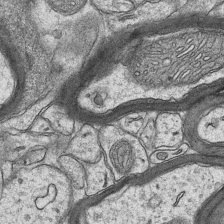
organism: Mouse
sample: CA1 Hippocampus